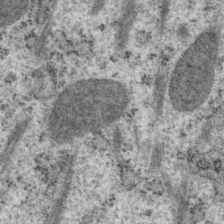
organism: P. pacificus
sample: Pharynx